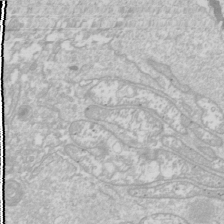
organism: Drosophila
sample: Cell division; meiosis; drosophila spermatocytes